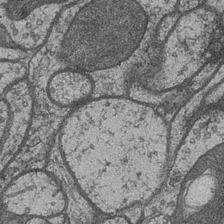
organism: Drosophila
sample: Optic medulla